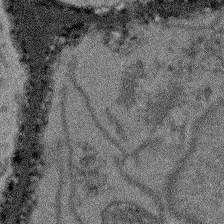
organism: Arabidopsis thaliana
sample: Root tip